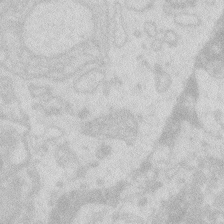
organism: Zebrafish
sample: Macrophage